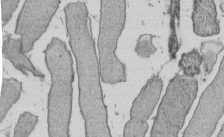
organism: E. coli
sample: Bacterial nucleoid